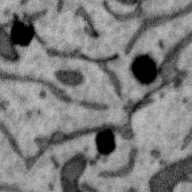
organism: Zebra finch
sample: Brain